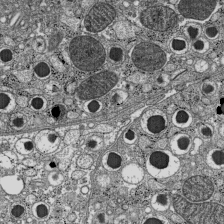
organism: C57BL Mouse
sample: Pancreatic islet